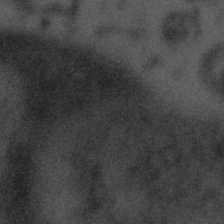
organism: Tuwongella immobilis